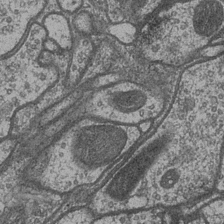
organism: Drosophila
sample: Optic medulla